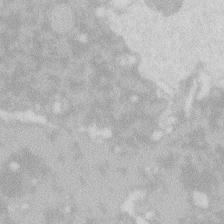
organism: Zebrafish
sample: Macrophage